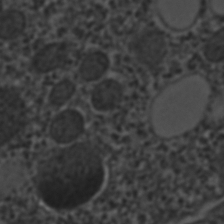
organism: C. elegans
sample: C. elegans embryo